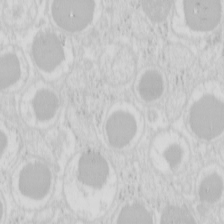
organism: Mouse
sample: Pancreas